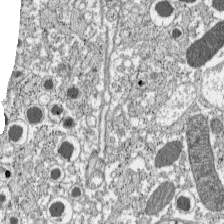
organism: C57BL Mouse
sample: Pancreatic islet